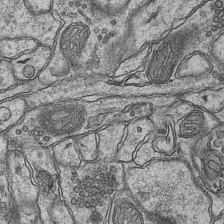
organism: Mouse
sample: CA1 Hippocampus